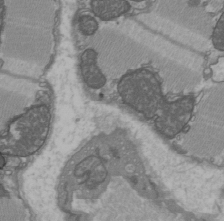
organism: C57BL Mouse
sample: Heart